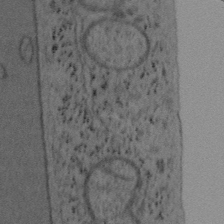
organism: Human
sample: HeLa cells